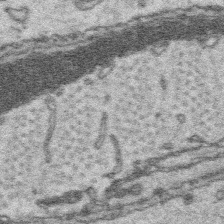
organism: Platynereis dumerilii